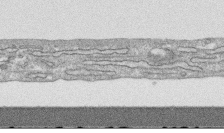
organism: Human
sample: CRL-1474